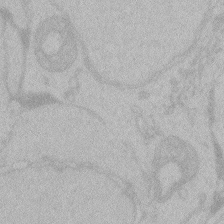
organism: Zebrafish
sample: Macrophage infected with Toxoplasma gondii